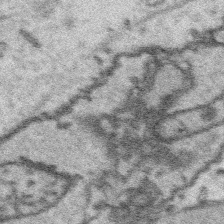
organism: Platynereis dumerilii